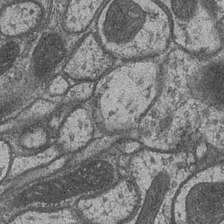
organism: Drosophila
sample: Optic medulla